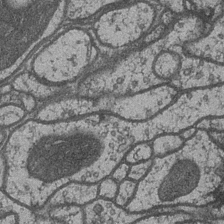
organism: Drosophila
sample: Optic medulla